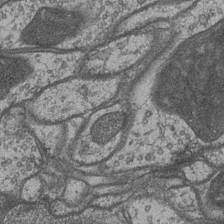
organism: Drosophila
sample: Optic medulla